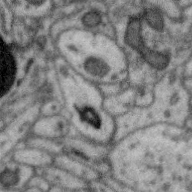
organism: Zebra finch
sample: Brain